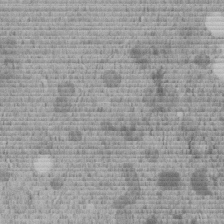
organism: C. elegans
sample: C. elegans embryo early stage